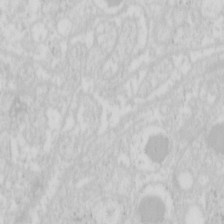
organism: Mouse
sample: Pancreas